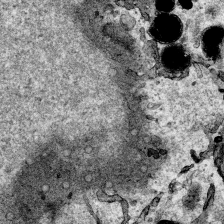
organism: Human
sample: Mitochondria in HCT116 cells